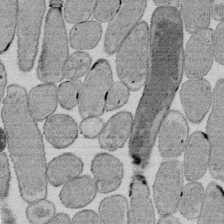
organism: E. coli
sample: Bacterial nucleoid